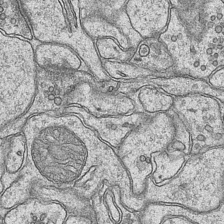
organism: Mouse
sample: CA1 Hippocampus